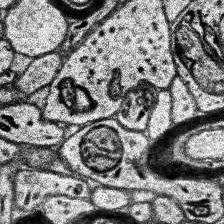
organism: Human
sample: Temporal Lobe